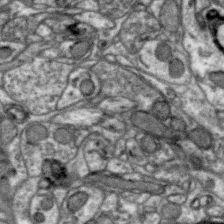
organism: Zebra finch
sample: Brain